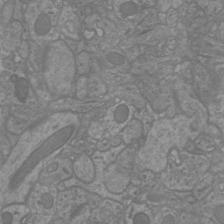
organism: Mouse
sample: Cortical neurons